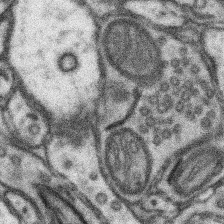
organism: Mouse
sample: Somatosensory cortex neuropil